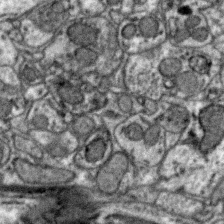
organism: Zebra finch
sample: Brain